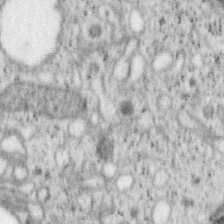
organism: Mouse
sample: OT-I killer T cells with ID8 ovarian cancer cells